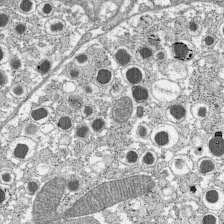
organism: C57BL Mouse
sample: Pancreatic islet